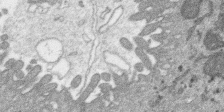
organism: Human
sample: Lung epithelial cells infected with SARS-CoV-2